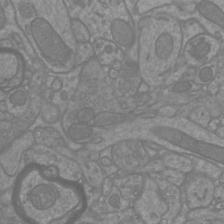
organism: Mouse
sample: Cortical neurons